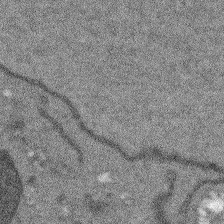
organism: Arabidopsis thaliana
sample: Root tip